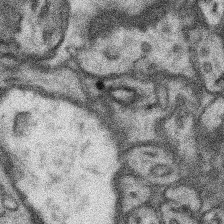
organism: Mouse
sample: Somatosensory cortex neuropil